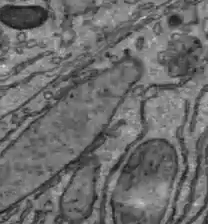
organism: C57BL Mouse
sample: Liver